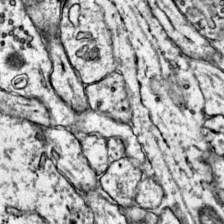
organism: Mouse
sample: Primary visual cortex